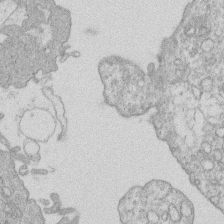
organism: Human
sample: Macrophage cells